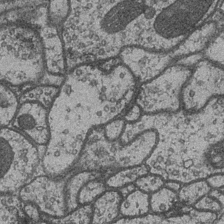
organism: Drosophila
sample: Optic medulla